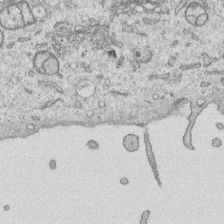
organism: Human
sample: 1205lu cells